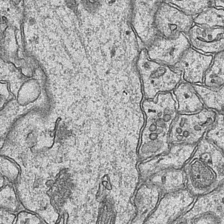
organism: Mouse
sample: CA1 Hippocampus